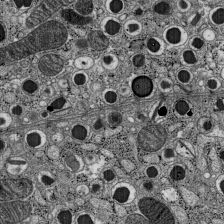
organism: C57BL Mouse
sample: Pancreatic islet